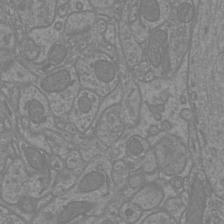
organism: Mouse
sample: Cortical neurons